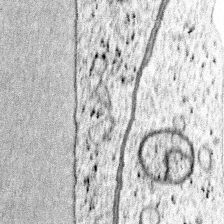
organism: Human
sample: HeLa cells